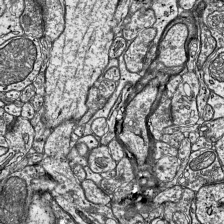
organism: Mouse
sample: Visual Cortex